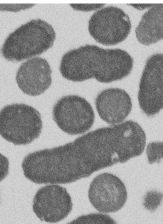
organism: E. coli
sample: Bacterial nucleoid